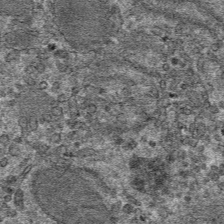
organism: Mouse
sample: Mouse hepatocytes